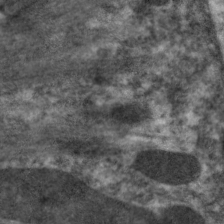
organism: C. elegans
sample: Pharynx